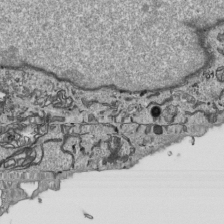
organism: Human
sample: Mitochondria in HCT116 cells